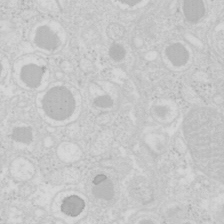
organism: Mouse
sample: Pancreas